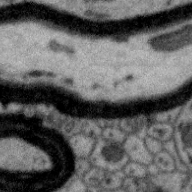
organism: Zebra finch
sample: Brain